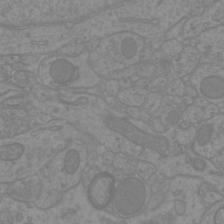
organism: Mouse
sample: Cortical neurons